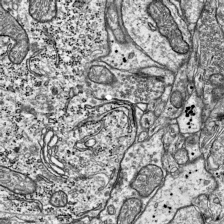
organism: Mouse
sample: Visual Cortex